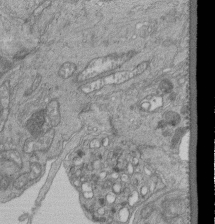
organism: Human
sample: Retinal organoid Rod and Cone cells